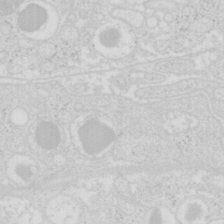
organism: Mouse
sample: Pancreas